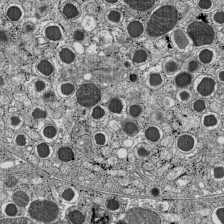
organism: C57BL Mouse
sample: Pancreatic islet